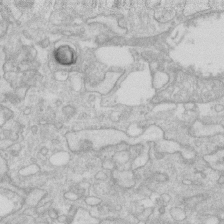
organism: Human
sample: Fibroblast cells